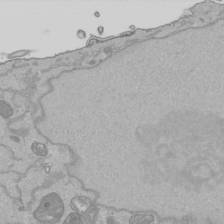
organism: Human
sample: Mitochondria in HCT116 cells